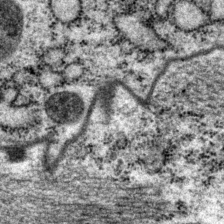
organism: P. pacificus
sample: Pharynx